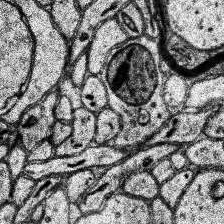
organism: Human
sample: Temporal Lobe